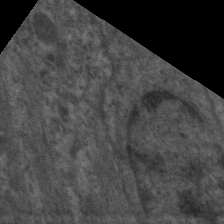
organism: C. elegans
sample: Pharynx